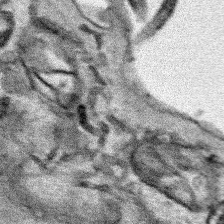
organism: Human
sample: Mitochondria in HCT116 cells